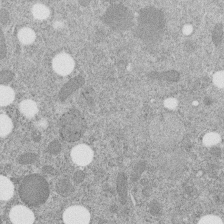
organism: C. elegans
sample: C. elegans embryo early stage